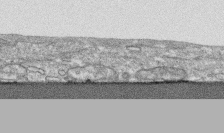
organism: Human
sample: CRL-1474